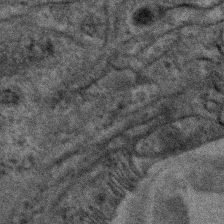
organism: C. elegans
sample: C. elegans embryo